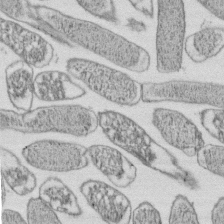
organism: E. coli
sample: Bacterial nucleoid